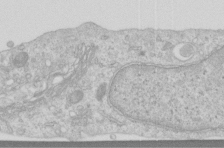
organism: Human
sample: Centriole in RPE cells